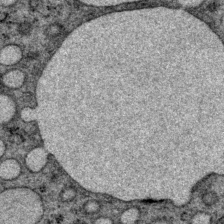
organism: P. pacificus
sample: Pharynx